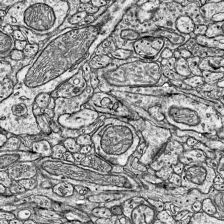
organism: Mouse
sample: Visual Cortex